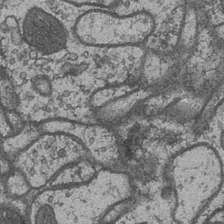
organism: Drosophila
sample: Optic medulla